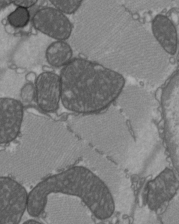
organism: C57BL Mouse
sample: Heart